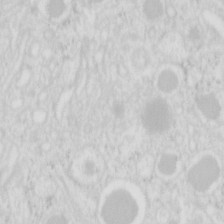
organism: Mouse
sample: Pancreas